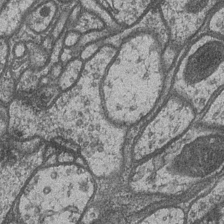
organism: Drosophila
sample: Optic medulla